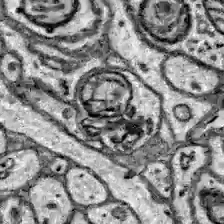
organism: Zebrafish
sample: Brain